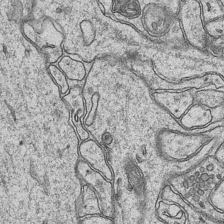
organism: Mouse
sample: CA1 Hippocampus